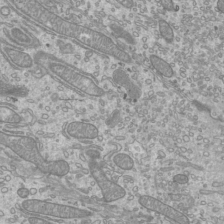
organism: Mouse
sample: Cilia; mouse epididymis